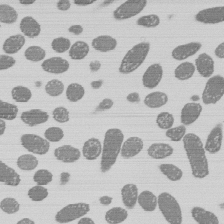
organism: E. coli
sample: Bacterial nucleoid